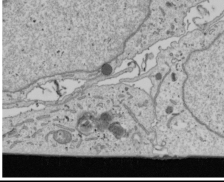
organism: Human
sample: Mitochondria in U2OS cells